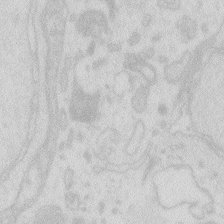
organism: Zebrafish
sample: Macrophage